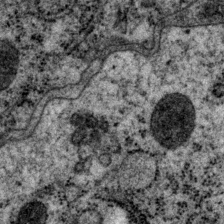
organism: P. pacificus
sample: Pharynx